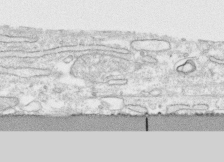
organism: Human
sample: CRL-1474